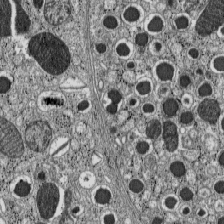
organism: C57BL Mouse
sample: Pancreatic islet